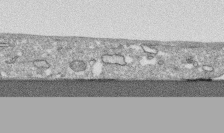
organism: Human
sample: CRL-1474